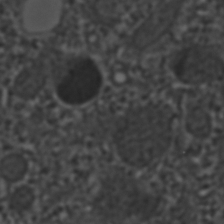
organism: C. elegans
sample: C. elegans embryo